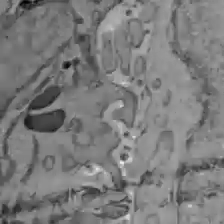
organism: C57BL Mouse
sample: Liver